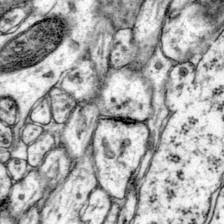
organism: Mouse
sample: Primary visual cortex